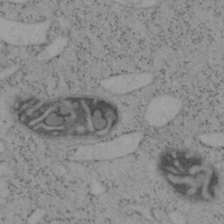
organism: Mouse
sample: OT-I killer T cells with ID8 ovarian cancer cells